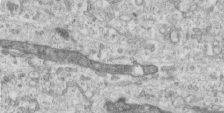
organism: Human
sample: Centriole in RPE cells